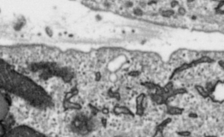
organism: Toxoplasma gondii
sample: Parasites in a vacuole inside a host cell